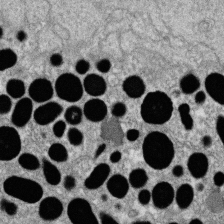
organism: Zebrafish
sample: Cilia; retinal pigment epithelium